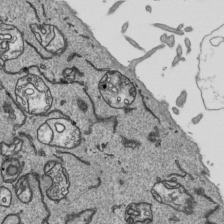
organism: Human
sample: Mitochondria in HCT116 cells